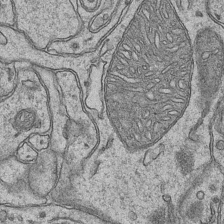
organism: Mouse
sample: CA1 Hippocampus